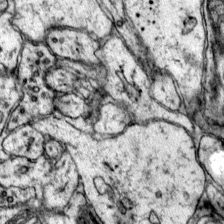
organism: Mouse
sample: Primary visual cortex